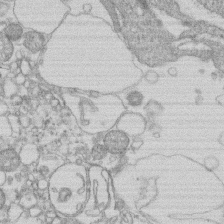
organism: Human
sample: Macrophage cells